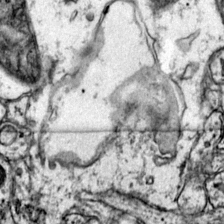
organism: Mouse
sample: Primary visual cortex